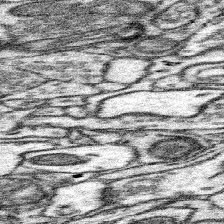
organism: Mouse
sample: Somatosensory cortex neuropil